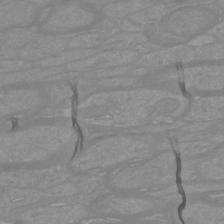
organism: Mouse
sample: Cortical neurons